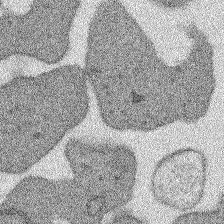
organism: Human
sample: HeLa cells